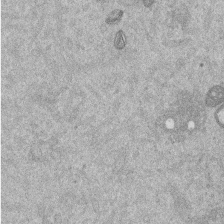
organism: Mouse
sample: Dividing mouse embryo 1 cell stage